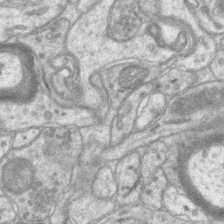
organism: Mouse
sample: CA1 Hippocampus